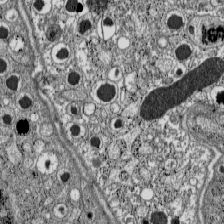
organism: C57BL Mouse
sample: Pancreatic islet